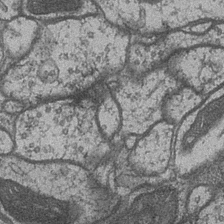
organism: Drosophila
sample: Optic medulla